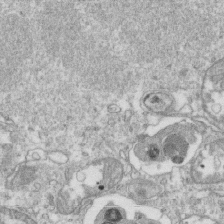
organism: Mouse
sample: Activated OT-1 CD8+ T cells